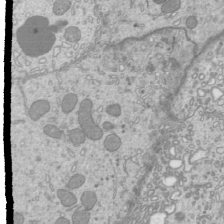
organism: Mouse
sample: Cilia; mouse epididymis